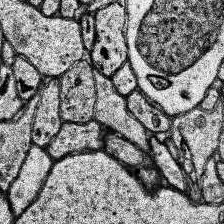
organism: Human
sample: Temporal Lobe